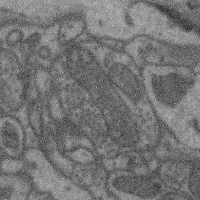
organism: Mouse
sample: Cerebral cortex